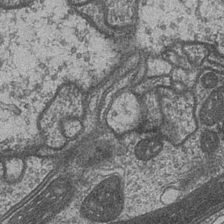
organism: Drosophila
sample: Optic medulla